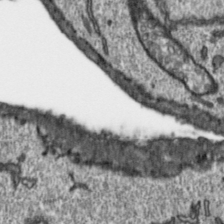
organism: Toxoplasma gondii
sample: Parasites in a vacuole inside a host cell